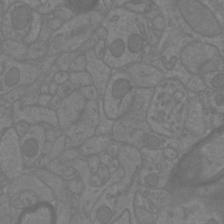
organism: Mouse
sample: Cortical neurons